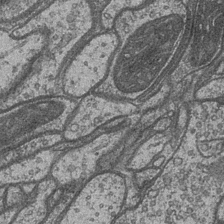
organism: Drosophila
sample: Optic medulla